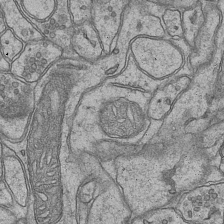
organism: Mouse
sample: CA1 Hippocampus